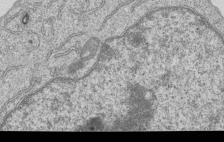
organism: Human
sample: MDA-MB-231 cells